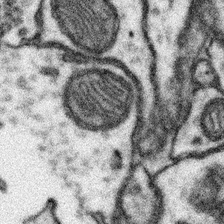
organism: Mouse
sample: Somatosensory cortex neuropil